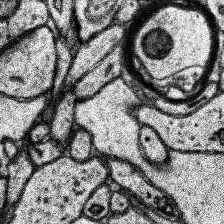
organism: Human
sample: Temporal Lobe